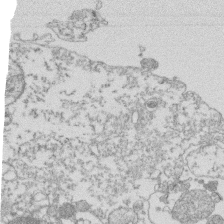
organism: Human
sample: HeLa cell HIV synapse